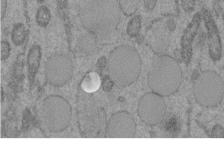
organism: C. elegans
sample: C. elegans embryo early stage